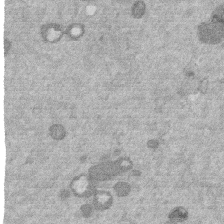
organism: Mouse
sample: Dividing mouse embryo 1 cell stage